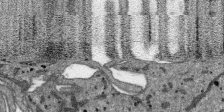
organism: Human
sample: Lung epithelial cells, uninfected (mock) control